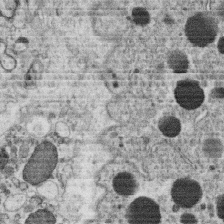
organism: C. elegans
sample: C. elegans oocyte; sperm cells